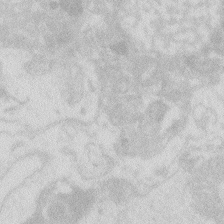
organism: Zebrafish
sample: Macrophage